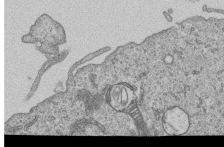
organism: Human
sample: MDA-MB-231 cells